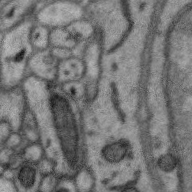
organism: Zebra finch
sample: Brain